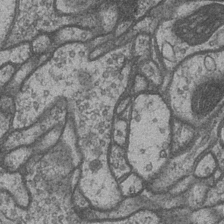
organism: Drosophila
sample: Optic medulla